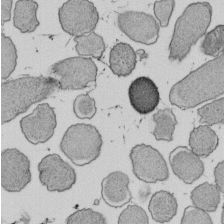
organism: E. coli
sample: Bacterial nucleoid